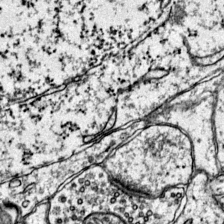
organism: Mouse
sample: Primary visual cortex